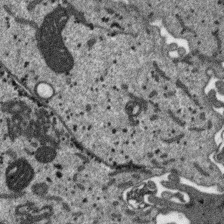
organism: Human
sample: Lung epithelial cells infected with SARS-CoV-2